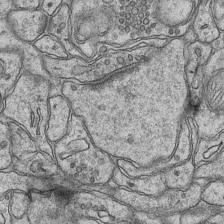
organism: Mouse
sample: CA1 Hippocampus